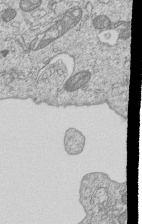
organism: Human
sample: MDA-MB-231 cells